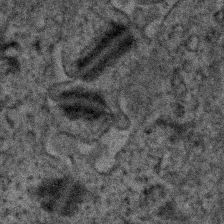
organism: Human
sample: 1205lu cells